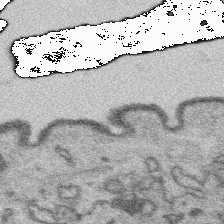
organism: Platynereis dumerilii